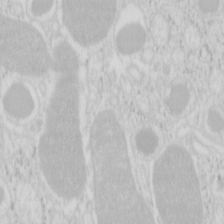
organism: Mouse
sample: Pancreas